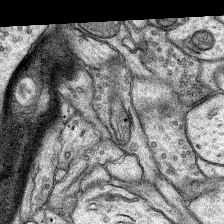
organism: Rat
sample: Hippocampus